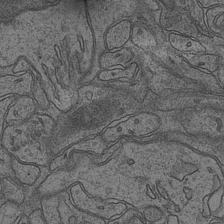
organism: Mouse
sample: CA1 Hippocampus